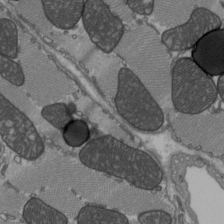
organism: C57BL Mouse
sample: Heart